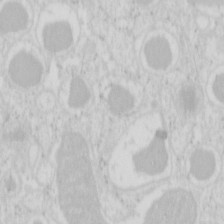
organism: Mouse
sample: Pancreas